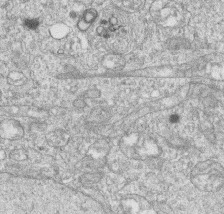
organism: Human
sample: HeLa cell HIV synapse